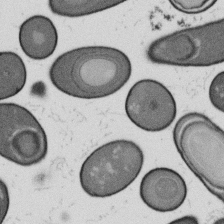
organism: B. subtilis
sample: Bacterial spore